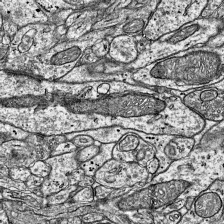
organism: Mouse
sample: Visual Cortex